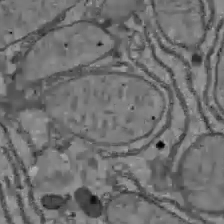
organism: C57BL Mouse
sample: Liver